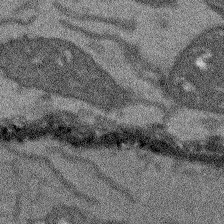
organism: Arabidopsis thaliana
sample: Root tip